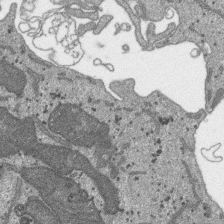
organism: Human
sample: Lung epithelial cells infected with SARS-CoV-2